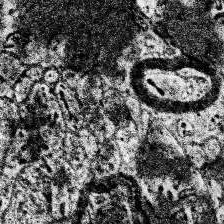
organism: Human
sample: Temporal Lobe